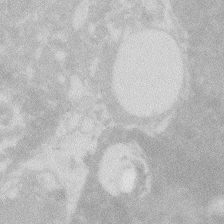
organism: Zebrafish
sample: Macrophage